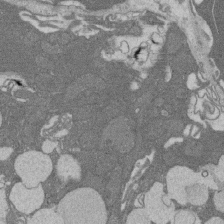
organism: Rat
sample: Salivary granule